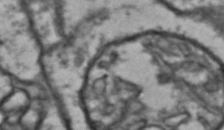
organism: Drosophila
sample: Brain